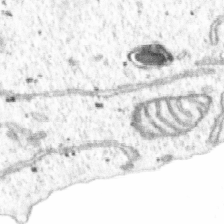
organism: Human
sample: HeLa cells